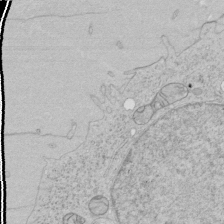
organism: Human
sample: Mitochondria in HCT116 cells